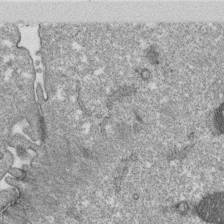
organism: African green monkey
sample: Vero E6 cells infected with SARS-CoV-2